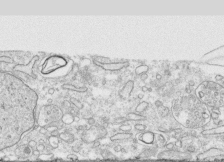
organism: Human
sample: CRL-1474